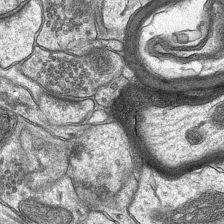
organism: Mouse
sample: CA1 Hippocampus